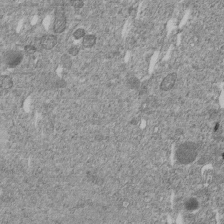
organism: C. elegans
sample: C. elegans embryo early stage